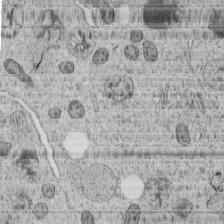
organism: C. elegans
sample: C. elegans embryo early stage